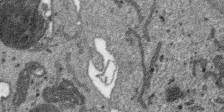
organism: Human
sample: Lung epithelial cells infected with SARS-CoV-2